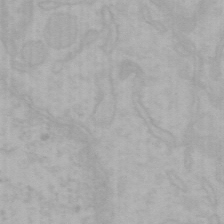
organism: Mouse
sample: Choroid plexus